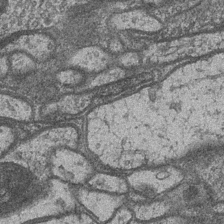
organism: Drosophila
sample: Optic medulla